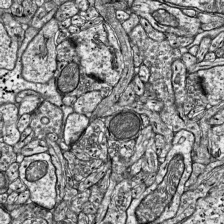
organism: Mouse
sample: Visual Cortex